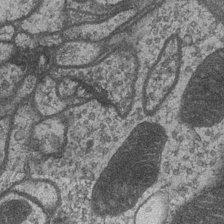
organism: Drosophila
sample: Optic medulla